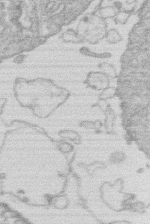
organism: Human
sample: Macrophage cells